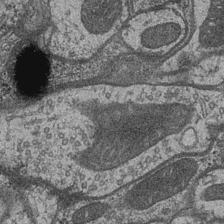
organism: Drosophila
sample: Optic medulla